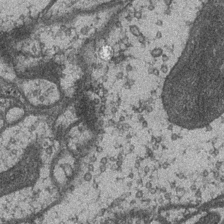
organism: Drosophila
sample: Optic medulla